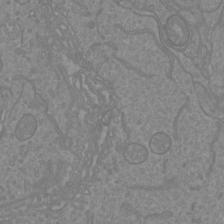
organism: Mouse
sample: Cortical neurons